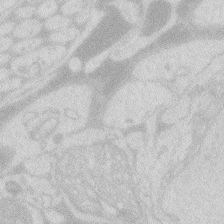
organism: Zebrafish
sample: Macrophage